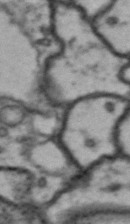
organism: Drosophila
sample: Brain